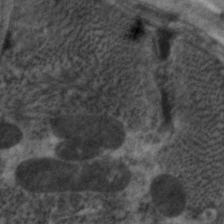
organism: C. elegans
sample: Pharynx